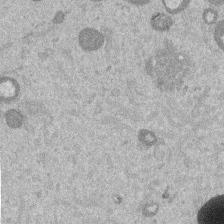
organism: Mouse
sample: Dividing mouse embryo 1 cell stage